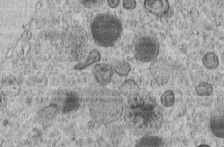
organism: C. elegans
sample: C. elegans embryo early stage